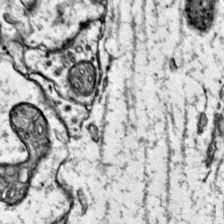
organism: Mouse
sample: Primary visual cortex